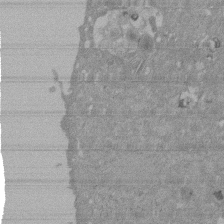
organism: Mouse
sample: ED-1 cell nuclei; centrioles